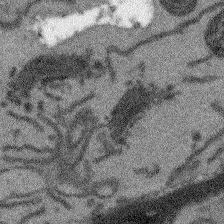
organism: Arabidopsis thaliana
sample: Root tip